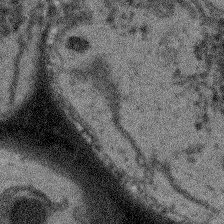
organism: Arabidopsis thaliana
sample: Root tip